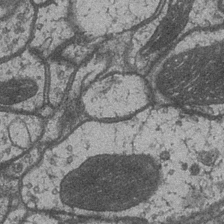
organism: Drosophila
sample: Optic medulla